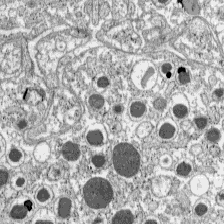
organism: C57BL Mouse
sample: Pancreatic islet